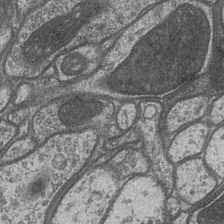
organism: Drosophila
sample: Optic medulla